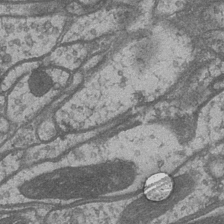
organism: Drosophila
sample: Optic medulla